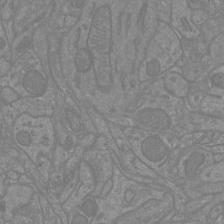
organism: Mouse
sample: Cortical neurons